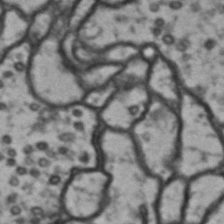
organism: Drosophila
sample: Brain